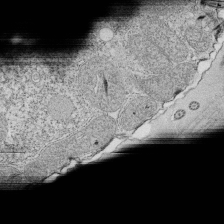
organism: Tetrahymena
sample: Cilia in tetrahymena